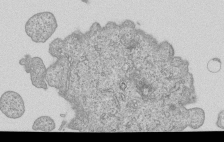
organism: Human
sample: MDA-MB-231 cells